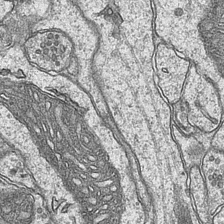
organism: Mouse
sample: CA1 Hippocampus